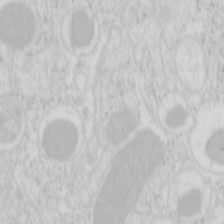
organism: Mouse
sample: Pancreas